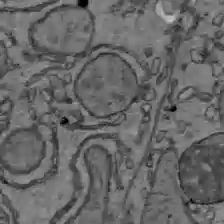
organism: C57BL Mouse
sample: Liver